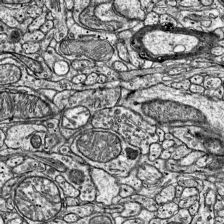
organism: Mouse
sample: Visual Cortex